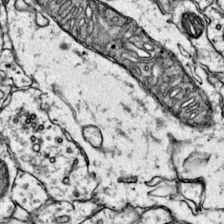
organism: Mouse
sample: Primary visual cortex